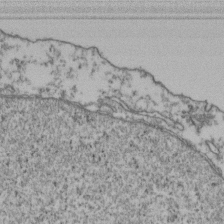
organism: Human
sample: Activated Jurkat CD4+ T cells